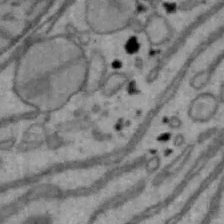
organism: Mouse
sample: Liver